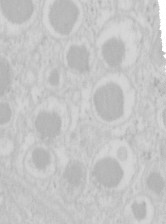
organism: Mouse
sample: Pancreas